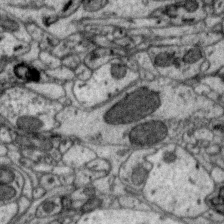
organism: Zebra finch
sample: Brain